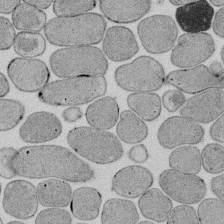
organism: E. coli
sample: Bacterial nucleoid